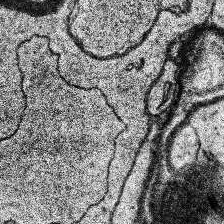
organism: Human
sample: Temporal Lobe